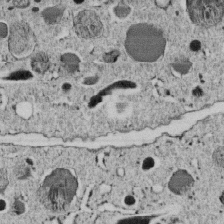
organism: C. elegans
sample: C. elegans embryo early stage